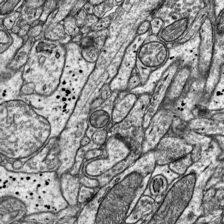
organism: Mouse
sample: Visual Cortex